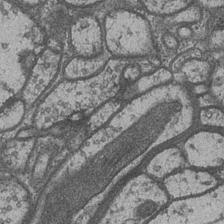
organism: Drosophila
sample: Optic medulla